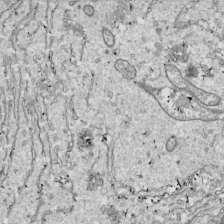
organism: Drosophila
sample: Cell division; meiosis; drosophila spermatocytes